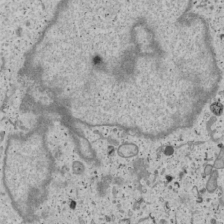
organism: Human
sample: Mitochondria in U2OS cells